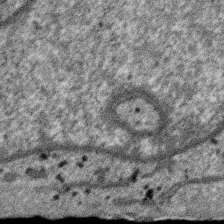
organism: Human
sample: Lung epithelial cells infected with SARS-CoV-2